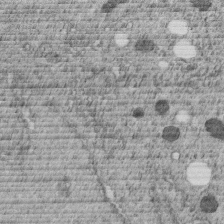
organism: C. elegans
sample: C. elegans embryo early stage